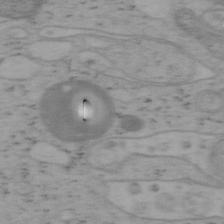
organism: Mouse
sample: OT-I killer T cells with ID8 ovarian cancer cells